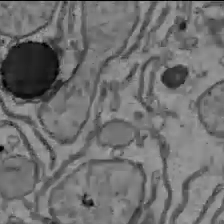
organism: C57BL Mouse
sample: Liver